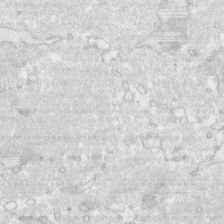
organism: Human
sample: CRL-1474